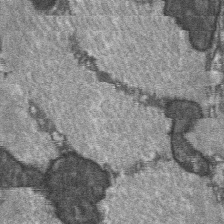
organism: C57BL Mouse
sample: Soleus